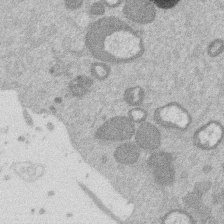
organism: Mouse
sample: Dividing mouse embryo 1 cell stage